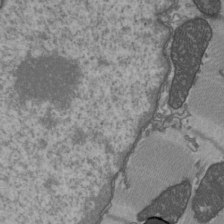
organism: C57BL Mouse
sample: Heart